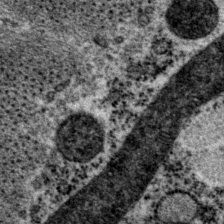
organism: P. pacificus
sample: Pharynx